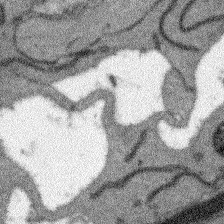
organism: Arabidopsis thaliana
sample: Root tip